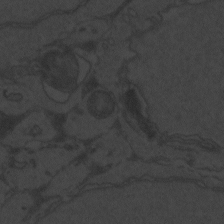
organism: Zebrafish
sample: Macrophage infected with Toxoplasma gondii